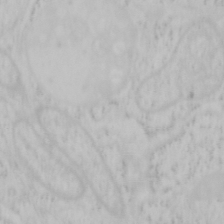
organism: Mouse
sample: OT-I killer T cells with ID8 ovarian cancer cells